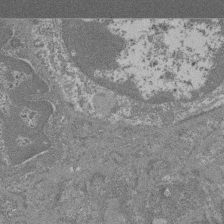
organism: Mouse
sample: Glomerulus